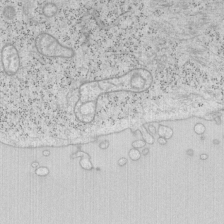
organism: Mouse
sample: OT-I killer T cells with ID8 ovarian cancer cells